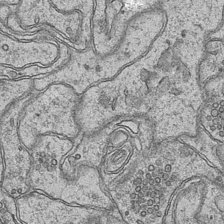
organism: Mouse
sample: CA1 Hippocampus